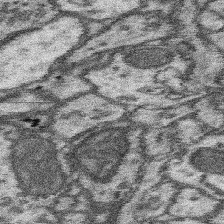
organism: Mouse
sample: Somatosensory cortex neuropil